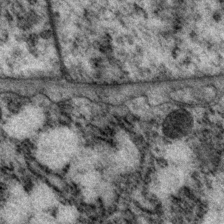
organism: P. pacificus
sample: Pharynx